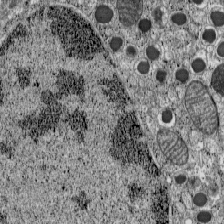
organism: C57BL Mouse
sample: Pancreatic islet